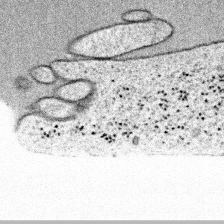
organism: Human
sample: HeLa cells